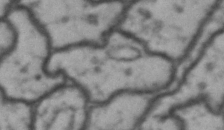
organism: Drosophila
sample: Brain